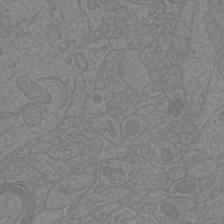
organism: Mouse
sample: Cortical neurons